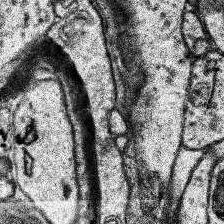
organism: Human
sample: Temporal Lobe